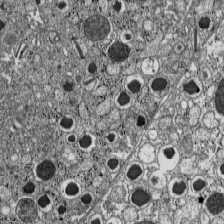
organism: C57BL Mouse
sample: Pancreatic islet